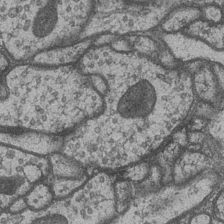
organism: Drosophila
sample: Optic medulla